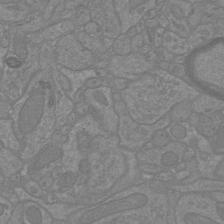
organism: Mouse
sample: Cortical neurons